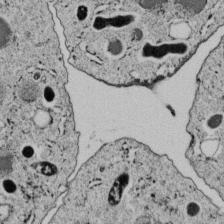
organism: C. elegans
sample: C. elegans embryo early stage